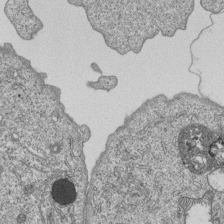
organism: Human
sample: MDA-MB-231 cells